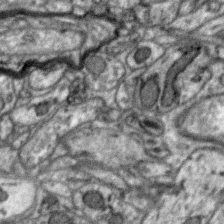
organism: Zebra finch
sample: Brain